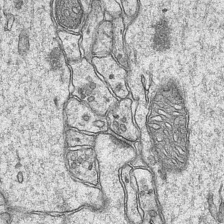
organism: Mouse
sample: CA1 Hippocampus